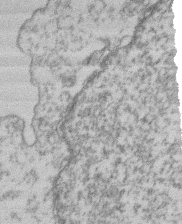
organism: Mouse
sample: T cell stromal cell synapse